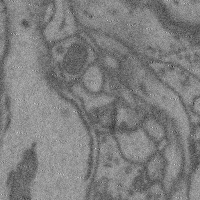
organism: Mouse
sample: Cerebral cortex